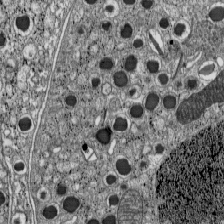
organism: C57BL Mouse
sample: Pancreatic islet